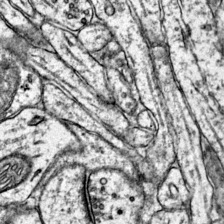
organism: Mouse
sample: Primary visual cortex